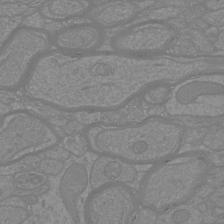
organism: Mouse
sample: Cortical neurons